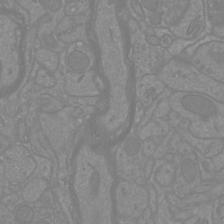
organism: Mouse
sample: Cortical neurons